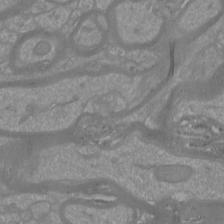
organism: Mouse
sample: Cortical neurons